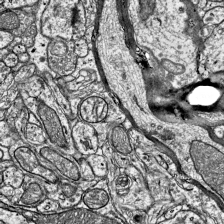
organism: Mouse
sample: Visual Cortex